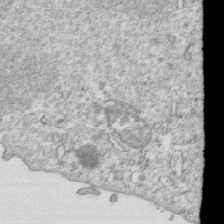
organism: Mouse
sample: Activated OT-1 CD8+ T cells